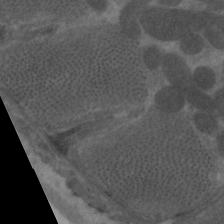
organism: C. elegans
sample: Pharynx